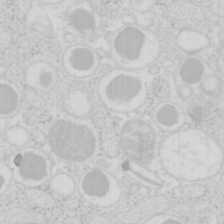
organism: Mouse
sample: Pancreas